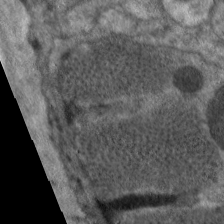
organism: C. elegans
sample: Pharynx